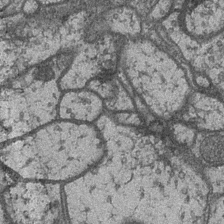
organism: Drosophila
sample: Optic medulla